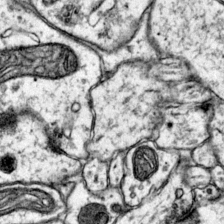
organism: Mouse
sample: Primary visual cortex